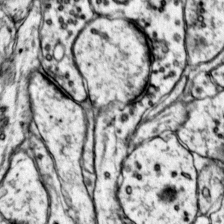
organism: Mouse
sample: Primary visual cortex